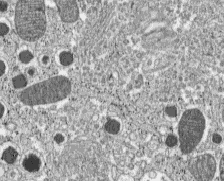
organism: C57BL Mouse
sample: Pancreatic islet